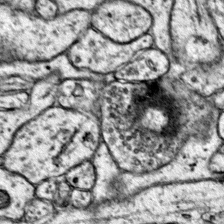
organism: Mouse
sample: Primary visual cortex